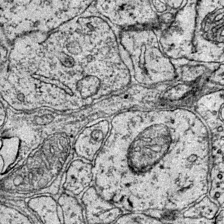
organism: Mouse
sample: Primary visual cortex